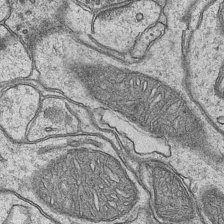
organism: Mouse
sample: CA1 Hippocampus